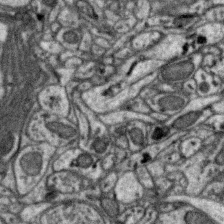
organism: Zebra finch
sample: Brain